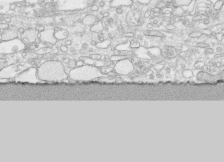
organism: Human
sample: CRL-1474